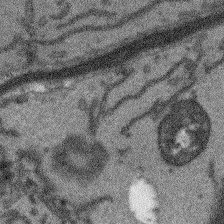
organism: Arabidopsis thaliana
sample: Root tip